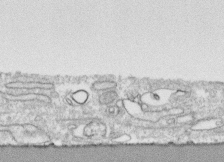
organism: Human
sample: CRL-1474